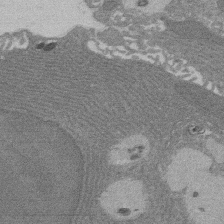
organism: Rat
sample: Salivary granule